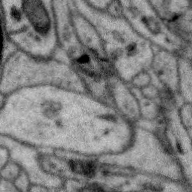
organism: Zebra finch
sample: Brain